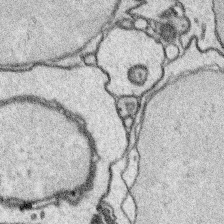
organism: Platynereis dumerilii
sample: Parapodia